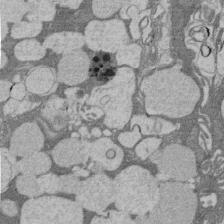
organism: Rat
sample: Salivary granule